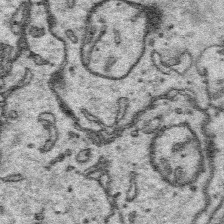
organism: Platynereis dumerilii